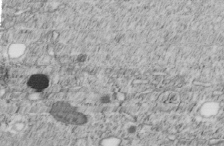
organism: C. elegans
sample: C. elegans embryo early stage